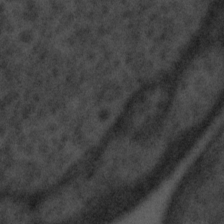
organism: Tuwongella immobilis